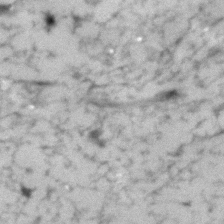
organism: Human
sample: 1205lu cells